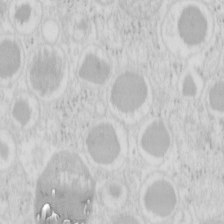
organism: Mouse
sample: Pancreas